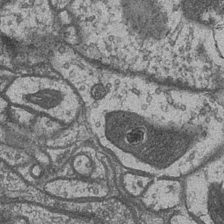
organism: Drosophila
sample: Optic medulla